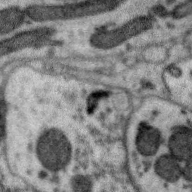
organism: Zebra finch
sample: Brain